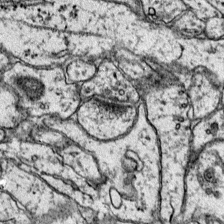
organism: Mouse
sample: Primary visual cortex